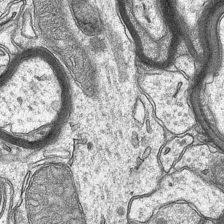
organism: Mouse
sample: CA1 Hippocampus